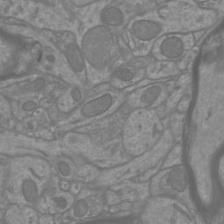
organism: Mouse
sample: Cortical neurons